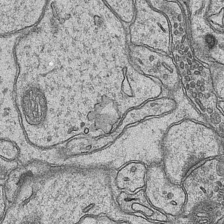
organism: Mouse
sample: CA1 Hippocampus